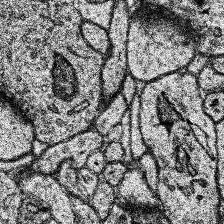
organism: Human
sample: Temporal Lobe